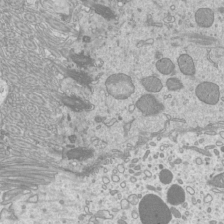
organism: Mouse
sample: Cilia; mouse epididymis